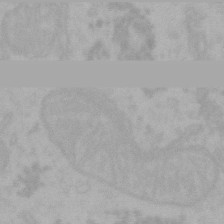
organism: Mouse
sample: Choroid plexus